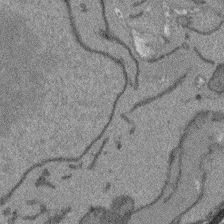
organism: Arabidopsis thaliana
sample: Root tip